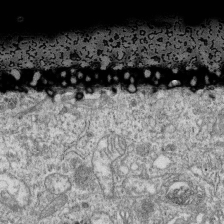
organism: Human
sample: HeLa cell HIV synapse